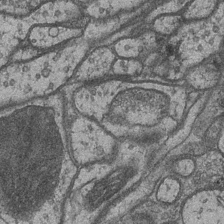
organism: Drosophila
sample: Optic medulla